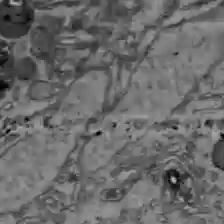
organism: C57BL Mouse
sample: Liver